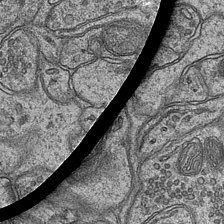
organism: Mouse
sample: CA1 Hippocampus